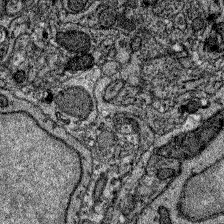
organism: Zebrafish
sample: Larval olfactory bulb